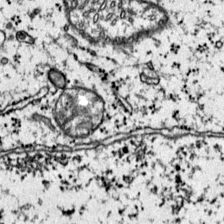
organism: Mouse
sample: Primary visual cortex